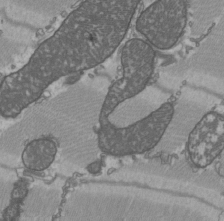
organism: C57BL Mouse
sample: Heart